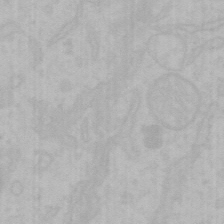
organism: Mouse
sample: Choroid plexus